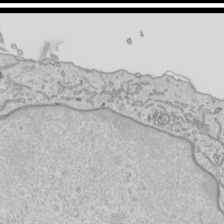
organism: Human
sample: Mitochondria in HCT116 cells